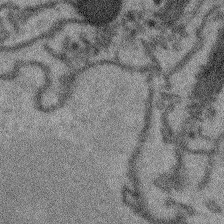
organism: Arabidopsis thaliana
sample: Root tip